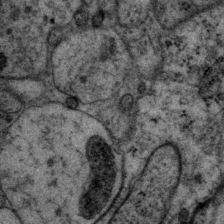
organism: P. pacificus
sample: Pharynx